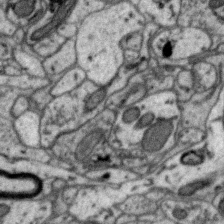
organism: Zebra finch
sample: Brain